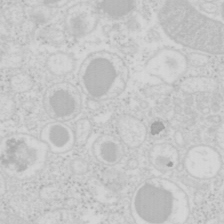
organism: Mouse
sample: Pancreas